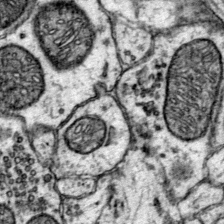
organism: Mouse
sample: Primary visual cortex